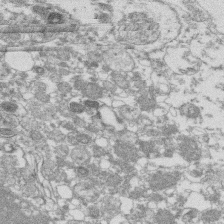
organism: Human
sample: HeLa cell HIV synapse